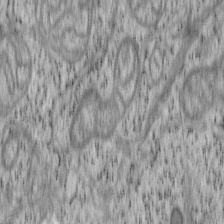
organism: Human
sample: HeLa cells